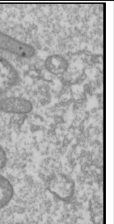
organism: Drosophila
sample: Cell division; meiosis; drosophila spermatocytes